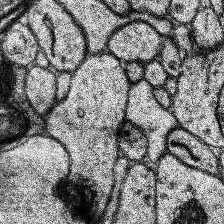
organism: Human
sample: Temporal Lobe